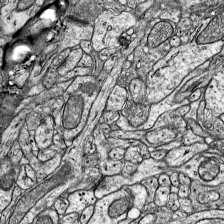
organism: Mouse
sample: Visual Cortex